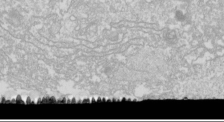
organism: Drosophila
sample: Cell division; meiosis; drosophila spermatocytes